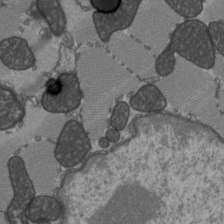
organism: C57BL Mouse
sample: Heart